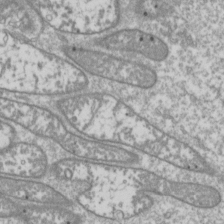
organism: Drosophila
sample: Cell division; meiosis; drosophila spermatocytes